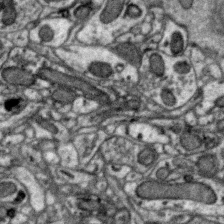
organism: Zebra finch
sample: Brain